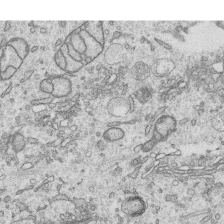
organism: Human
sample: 1205lu cells